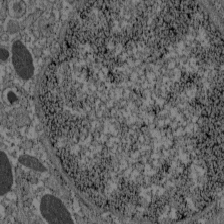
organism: C57BL Mouse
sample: Pancreatic islet